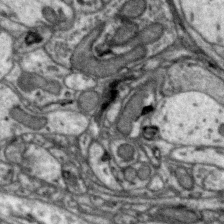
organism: Zebra finch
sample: Brain